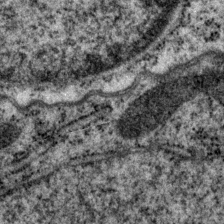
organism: P. pacificus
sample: Pharynx